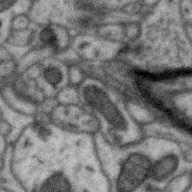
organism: Zebra finch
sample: Brain